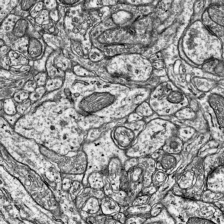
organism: Mouse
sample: Visual Cortex